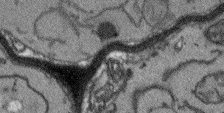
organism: Arabidopsis thaliana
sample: Root tip